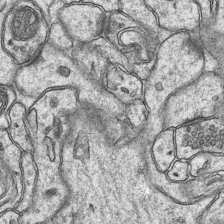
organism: Mouse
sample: CA1 Hippocampus